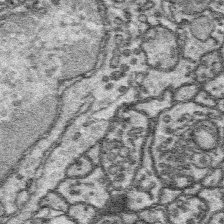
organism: Platynereis dumerilii